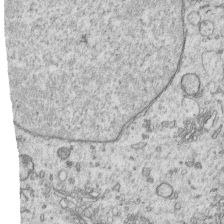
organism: Human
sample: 1205lu cells